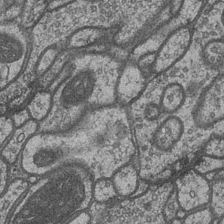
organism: Drosophila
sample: Optic medulla